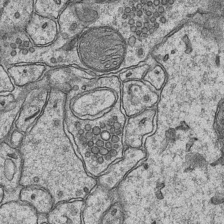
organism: Mouse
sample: CA1 Hippocampus